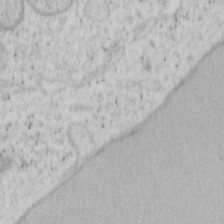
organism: Human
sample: HeLa cells